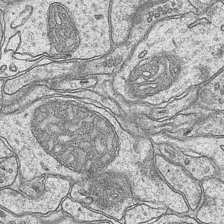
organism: Mouse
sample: CA1 Hippocampus